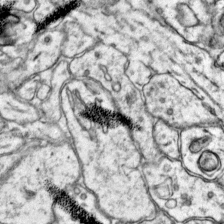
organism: Mouse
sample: Primary visual cortex